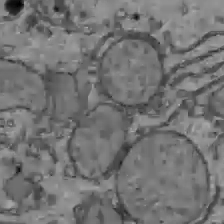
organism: C57BL Mouse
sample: Liver